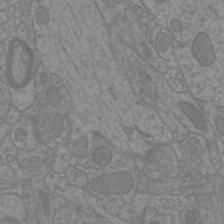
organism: Mouse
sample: Cortical neurons